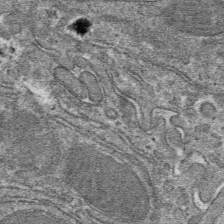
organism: Mouse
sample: Mouse hepatocytes